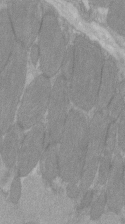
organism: C57BL Mouse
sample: Tibialis anterior muscle cell